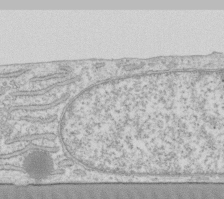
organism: Human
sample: Fibroblast cells